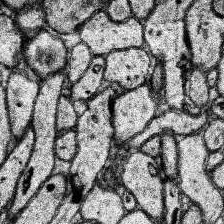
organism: Human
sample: Temporal Lobe